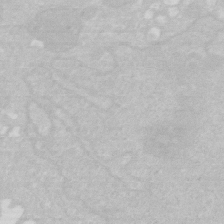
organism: Human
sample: HIV infected U937 cells